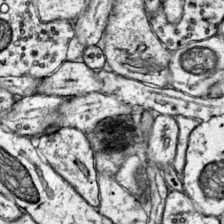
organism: Mouse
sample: Primary visual cortex